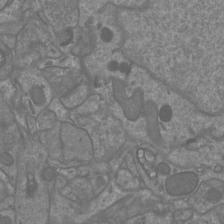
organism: Mouse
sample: Cortical neurons